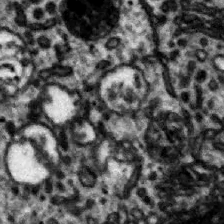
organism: Human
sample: HeLa cells